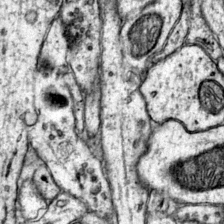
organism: Mouse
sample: Primary visual cortex